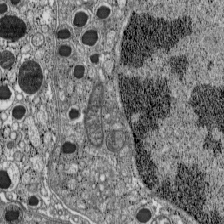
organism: C57BL Mouse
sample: Pancreatic islet